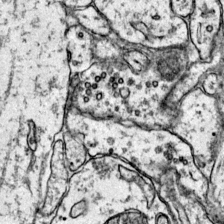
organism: Mouse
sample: Primary visual cortex